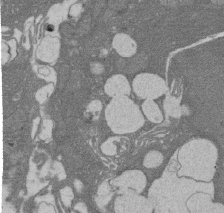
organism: Rat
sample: Salivary granule